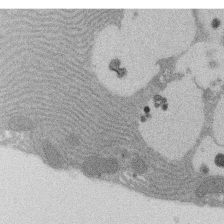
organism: Rat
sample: Salivary granule